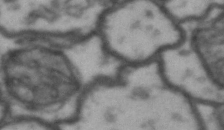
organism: Drosophila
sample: Brain